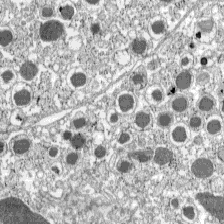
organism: C57BL Mouse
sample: Pancreatic islet